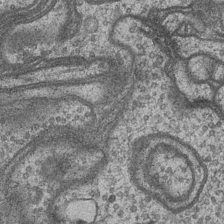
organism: Drosophila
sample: Optic medulla